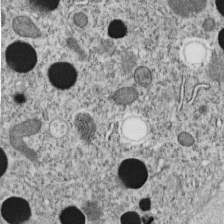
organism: C. elegans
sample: C. elegans embryo early stage